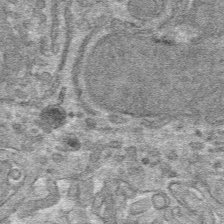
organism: Mouse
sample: Mouse hepatocytes